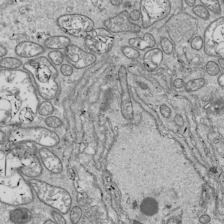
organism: Drosophila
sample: Cell division; meiosis; drosophila spermatocytes